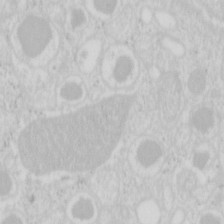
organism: Mouse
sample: Pancreas